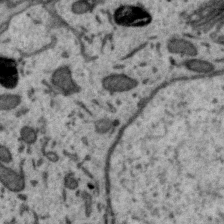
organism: Zebra finch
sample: Brain